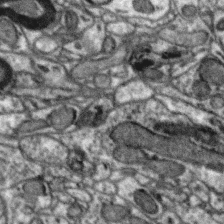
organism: Zebra finch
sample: Brain